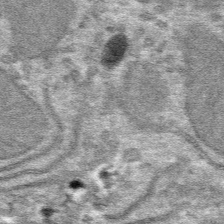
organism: Mouse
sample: Mouse hepatocytes